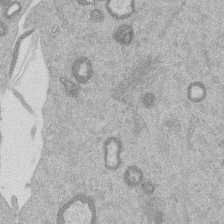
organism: Mouse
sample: Dividing mouse embryo 1 cell stage